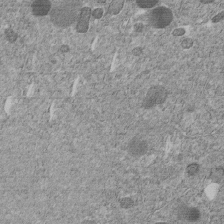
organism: C. elegans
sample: C. elegans embryo early stage